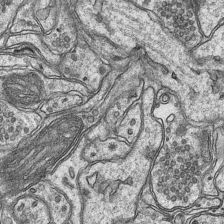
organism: Mouse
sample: CA1 Hippocampus